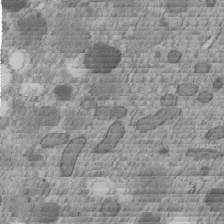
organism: C. elegans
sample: C. elegans embryo early stage